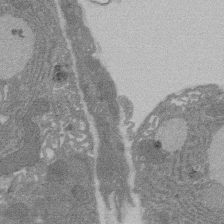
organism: Rat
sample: Salivary granule